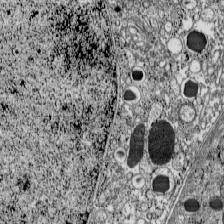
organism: C57BL Mouse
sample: Pancreatic islet